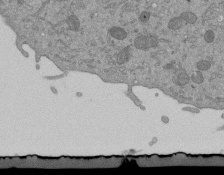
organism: Mouse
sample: ED-1 cell nuclei; centrioles